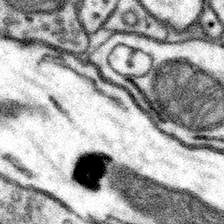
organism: Mouse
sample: Somatosensory cortex neuropil